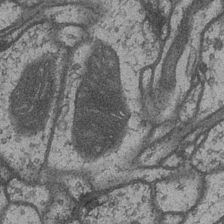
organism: Drosophila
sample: Optic medulla